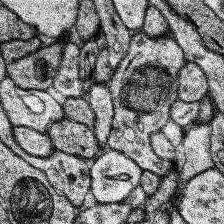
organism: Human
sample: Temporal Lobe